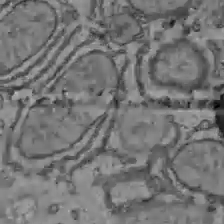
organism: C57BL Mouse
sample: Liver